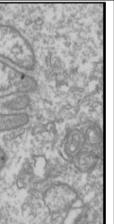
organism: Drosophila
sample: Cell division; meiosis; drosophila spermatocytes